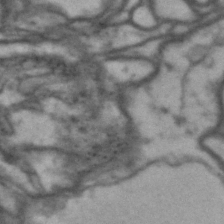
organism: Drosophila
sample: Brain